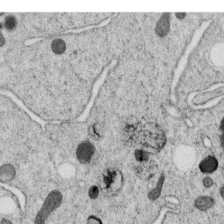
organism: C. elegans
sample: C. elegans oocyte; sperm cells